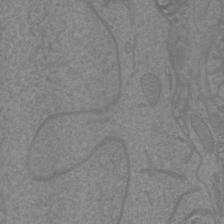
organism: Mouse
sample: Cortical neurons